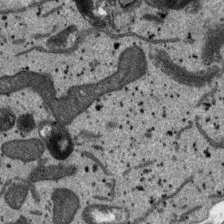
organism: Human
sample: Lung epithelial cells, uninfected (mock) control